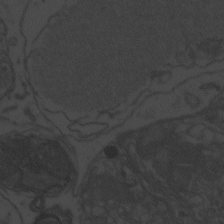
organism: Zebrafish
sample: Macrophage infected with Toxoplasma gondii